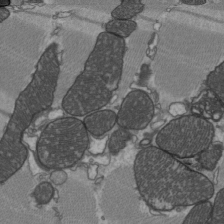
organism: C57BL Mouse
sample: Heart